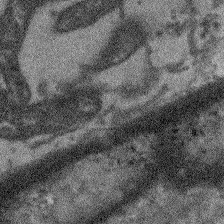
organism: Arabidopsis thaliana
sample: Root tip